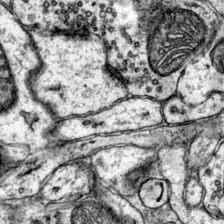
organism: Mouse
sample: Primary visual cortex